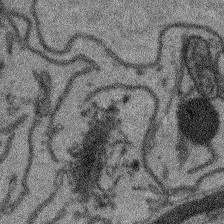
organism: Arabidopsis thaliana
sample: Root tip